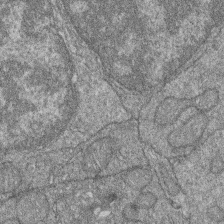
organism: Zebrafish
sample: Cilia; retinal pigment epithelium